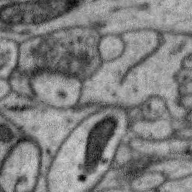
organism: Zebra finch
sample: Brain